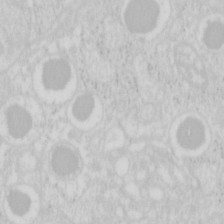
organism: Mouse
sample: Pancreas